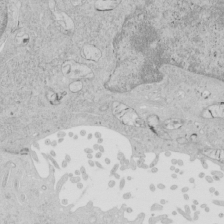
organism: Human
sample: Mitochondria in HCT116 cells